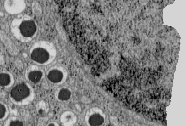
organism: C57BL Mouse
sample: Pancreatic islet